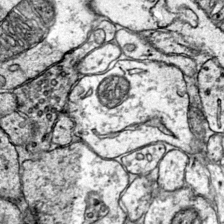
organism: Mouse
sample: Primary visual cortex